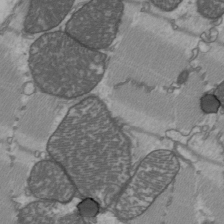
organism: C57BL Mouse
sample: Heart